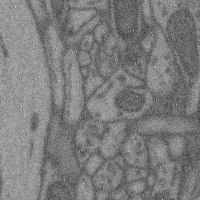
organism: Mouse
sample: Cerebral cortex